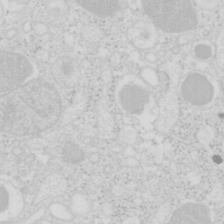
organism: Mouse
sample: Pancreas